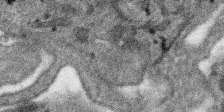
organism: Human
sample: Lung epithelial cells infected with SARS-CoV-2